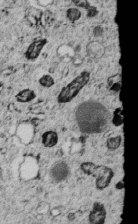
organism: C. elegans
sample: C. elegans embryo early stage